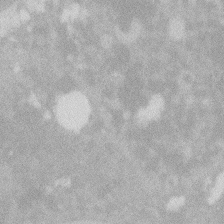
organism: Zebrafish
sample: Macrophage